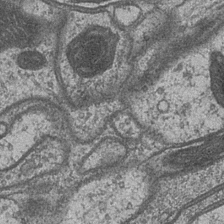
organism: Drosophila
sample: Optic medulla